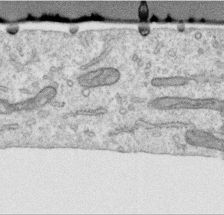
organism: Human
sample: Centriole in RPE cells